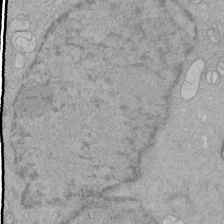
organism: Human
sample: Mitochondria in HCT116 cells